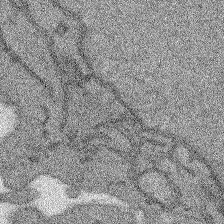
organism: Human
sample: HeLa cells